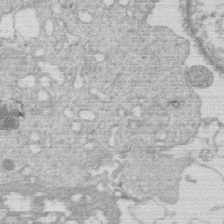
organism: Human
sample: Macrophage cells